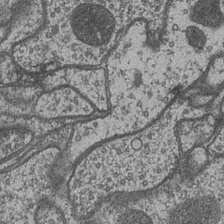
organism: Drosophila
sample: Optic medulla